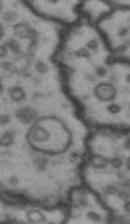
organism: Drosophila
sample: Brain